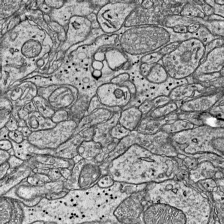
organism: Mouse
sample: Visual Cortex